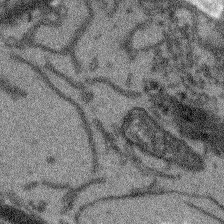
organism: Arabidopsis thaliana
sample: Root tip